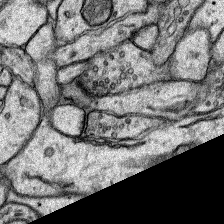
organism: Rat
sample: Hippocampus